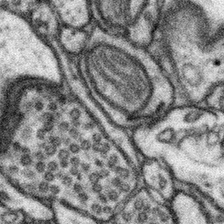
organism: Mouse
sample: Somatosensory cortex neuropil